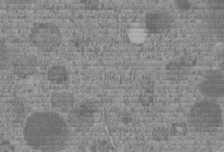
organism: C. elegans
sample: C. elegans embryo early stage